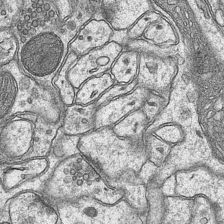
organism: Mouse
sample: CA1 Hippocampus